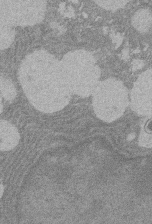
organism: Rat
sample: Salivary granule